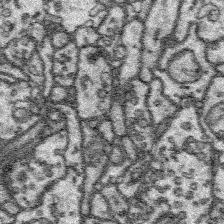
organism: Platynereis dumerilii